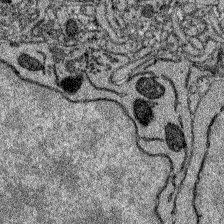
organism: Zebrafish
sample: Larval olfactory bulb